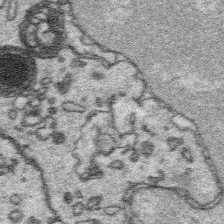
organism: Platynereis dumerilii